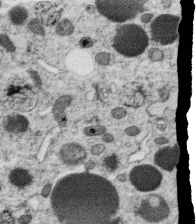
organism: C. elegans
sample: C. elegans oocyte; sperm cells